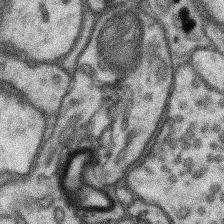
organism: Mouse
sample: Somatosensory cortex neuropil